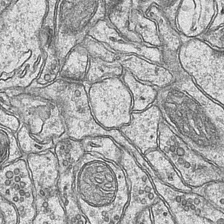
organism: Mouse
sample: CA1 Hippocampus